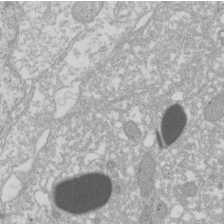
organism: Xenopus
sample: Cilia; centrioles in frog embryo cells